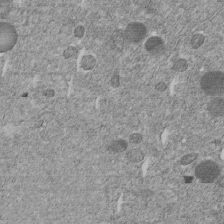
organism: C. elegans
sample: C. elegans embryo early stage